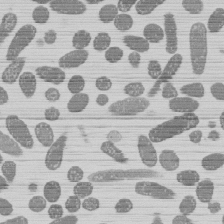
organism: E. coli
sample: Bacterial nucleoid